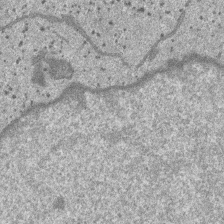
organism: Human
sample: Lung epithelial cells infected with SARS-CoV-2